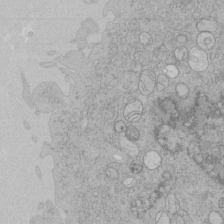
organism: Human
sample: Mitochondria in HCT116 cells